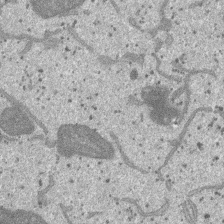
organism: Human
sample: Lung epithelial cells infected with SARS-CoV-2